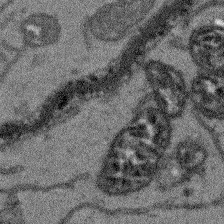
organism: Arabidopsis thaliana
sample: Root tip